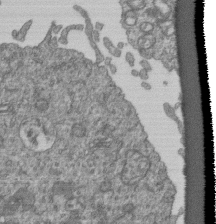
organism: Human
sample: Retinal organoid Rod and Cone cells